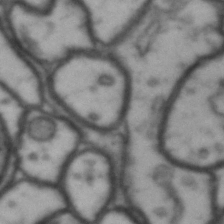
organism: Drosophila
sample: Brain